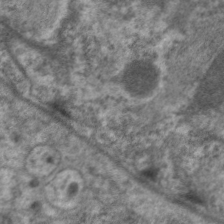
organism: C. elegans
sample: Pharynx